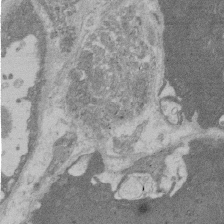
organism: Rat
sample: Salivary granule